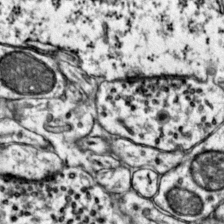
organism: Mouse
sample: Primary visual cortex